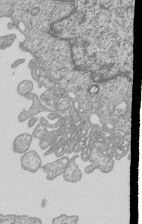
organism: Human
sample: MDA-MB-231 cells